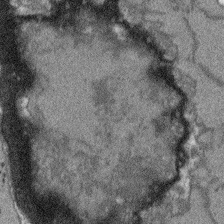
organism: Arabidopsis thaliana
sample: Root tip